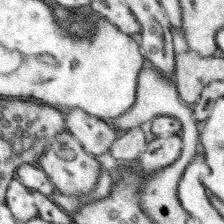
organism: Mouse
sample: Somatosensory cortex neuropil